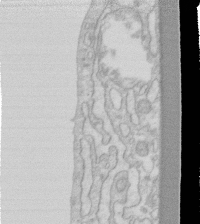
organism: Human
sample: Fibroblast cells